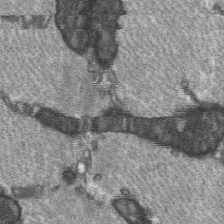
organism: C57BL Mouse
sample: Soleus